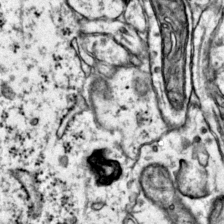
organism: Mouse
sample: Primary visual cortex